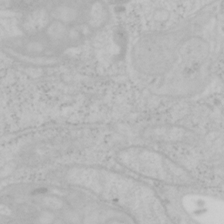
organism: Mouse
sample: OT-I killer T cells with ID8 ovarian cancer cells